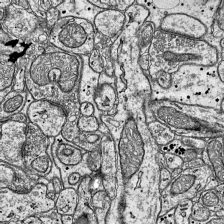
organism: Mouse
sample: Visual Cortex